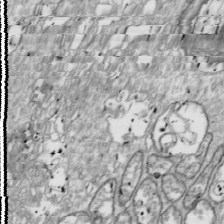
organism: Drosophila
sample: Cell division; meiosis; drosophila spermatocytes